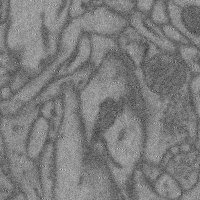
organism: Mouse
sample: Cerebral cortex